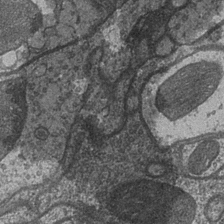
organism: Drosophila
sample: Optic medulla